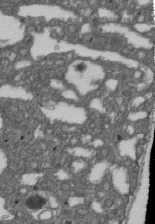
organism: Drosophila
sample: Nephrocyte